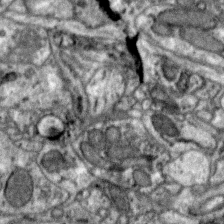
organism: Zebra finch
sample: Brain